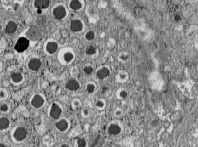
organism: C57BL Mouse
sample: Pancreatic islet